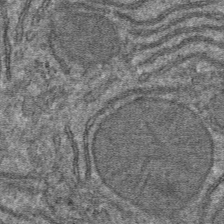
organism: Mouse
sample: Mouse hepatocytes